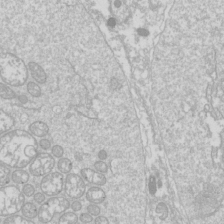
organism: Drosophila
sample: Cell division; meiosis; drosophila spermatocytes